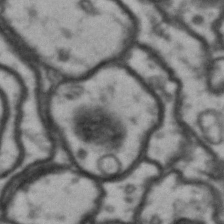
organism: Drosophila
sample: Brain